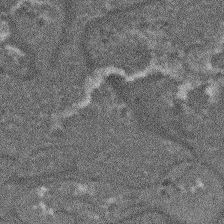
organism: Arabidopsis thaliana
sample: Root tip